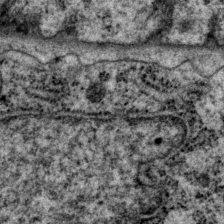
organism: P. pacificus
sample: Pharynx